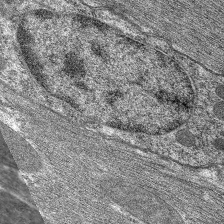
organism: C. elegans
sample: Pharynx